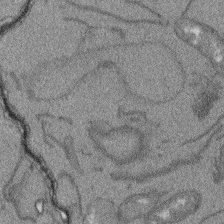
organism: Arabidopsis thaliana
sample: Root tip